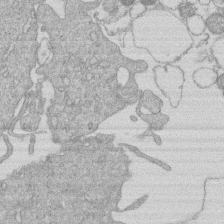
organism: Human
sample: Macrophage cells